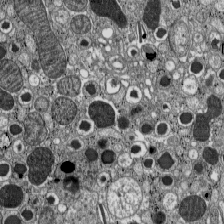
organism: C57BL Mouse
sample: Pancreatic islet